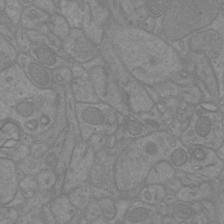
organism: Mouse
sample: Cortical neurons